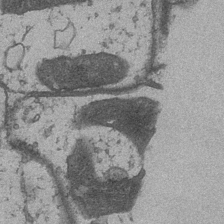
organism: Drosophila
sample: Optic medulla